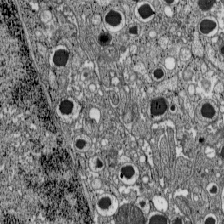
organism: C57BL Mouse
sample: Pancreatic islet